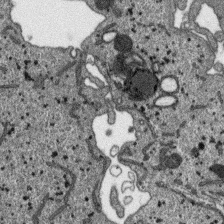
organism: Human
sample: Lung epithelial cells infected with SARS-CoV-2